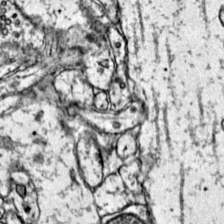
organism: Mouse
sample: Primary visual cortex